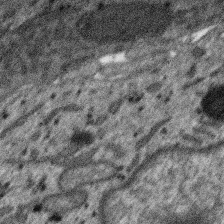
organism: Human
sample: Lung epithelial cells infected with SARS-CoV-2